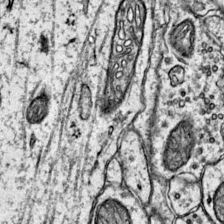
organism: Mouse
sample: Primary visual cortex